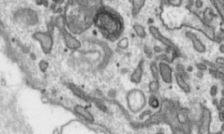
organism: Toxoplasma gondii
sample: Parasites in a vacuole inside a host cell